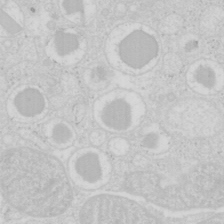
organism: Mouse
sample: Pancreas